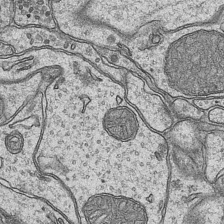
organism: Mouse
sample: CA1 Hippocampus